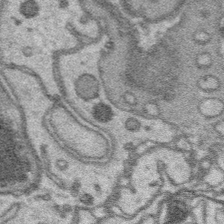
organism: Platynereis dumerilii